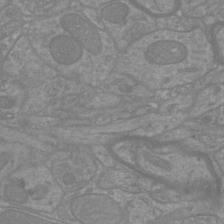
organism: Mouse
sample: Cortical neurons